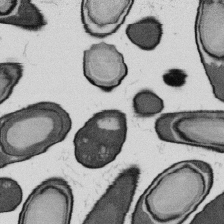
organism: B. subtilis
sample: Bacterial spore